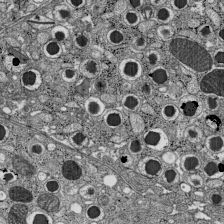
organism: C57BL Mouse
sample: Pancreatic islet